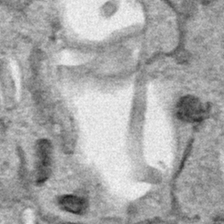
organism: Human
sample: Mitochondria in HCT116 cells